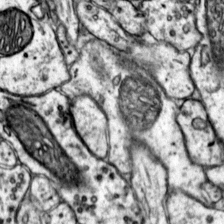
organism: Mouse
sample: Primary visual cortex